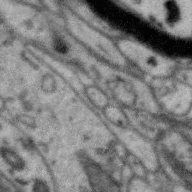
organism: Zebra finch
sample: Brain